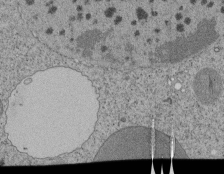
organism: Tetrahymena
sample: Cilia in tetrahymena